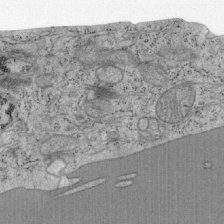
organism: Human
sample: HeLa cells